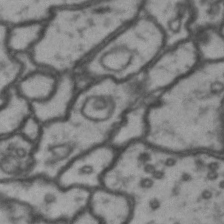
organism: Drosophila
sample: Brain